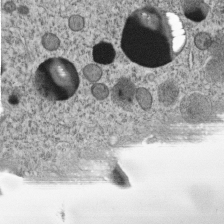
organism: C. elegans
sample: C. elegans embryo early stage